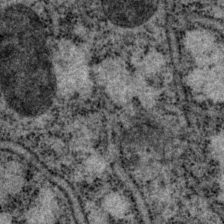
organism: P. pacificus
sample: Pharynx